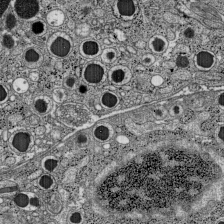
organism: C57BL Mouse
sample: Pancreatic islet